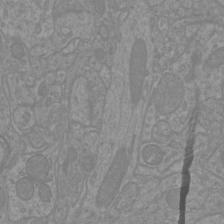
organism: Mouse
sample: Cortical neurons